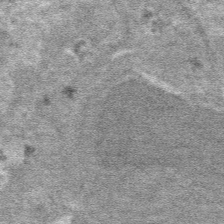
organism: Mouse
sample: Mouse hepatocytes